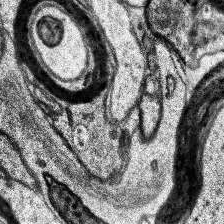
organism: Human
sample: Temporal Lobe